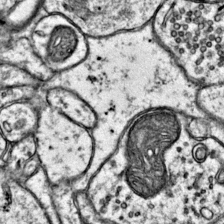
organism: Mouse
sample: Primary visual cortex